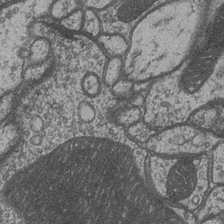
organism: Drosophila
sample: Optic medulla